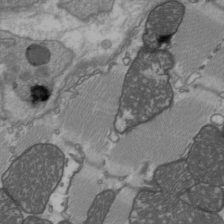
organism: C57BL Mouse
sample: Heart